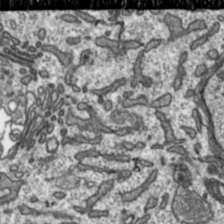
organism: Toxoplasma gondii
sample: Parasites in a vacuole inside a host cell